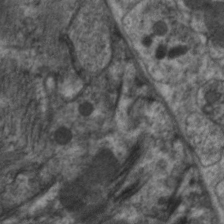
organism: C. elegans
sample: Pharynx